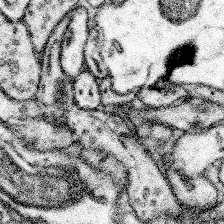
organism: Mouse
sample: Somatosensory cortex neuropil